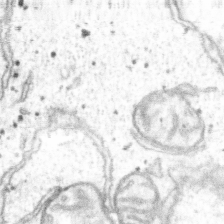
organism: Human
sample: HeLa cells